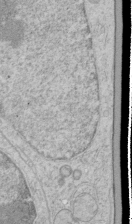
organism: Human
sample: Mitochondria in HCT116 cells